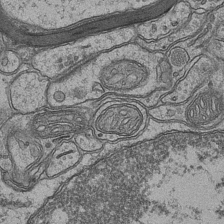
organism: Mouse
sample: CA1 Hippocampus